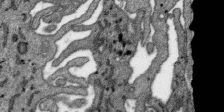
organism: Human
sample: Lung epithelial cells, uninfected (mock) control